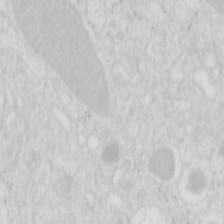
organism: Mouse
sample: Pancreas